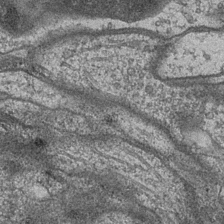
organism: Drosophila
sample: Optic medulla